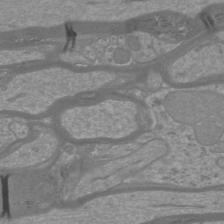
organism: Mouse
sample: Cortical neurons